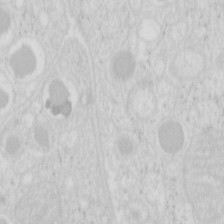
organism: Mouse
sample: Pancreas